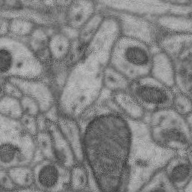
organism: Zebra finch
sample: Brain